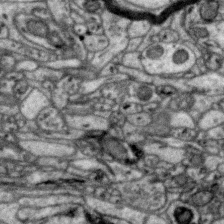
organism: Zebra finch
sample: Brain